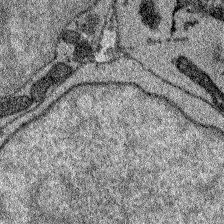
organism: Zebrafish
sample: Larval olfactory bulb